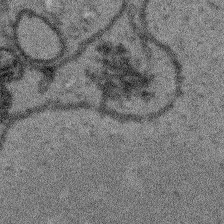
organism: Arabidopsis thaliana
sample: Root tip